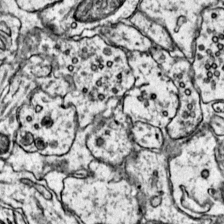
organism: Mouse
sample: Primary visual cortex